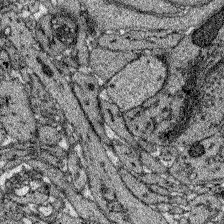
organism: Zebrafish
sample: Larval olfactory bulb